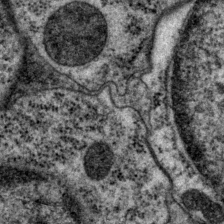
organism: P. pacificus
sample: Pharynx